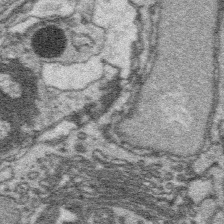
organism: Platynereis dumerilii